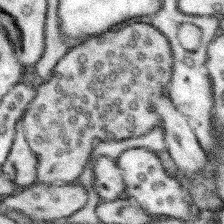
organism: Mouse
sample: Somatosensory cortex neuropil